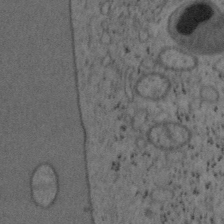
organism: Human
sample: HeLa cells